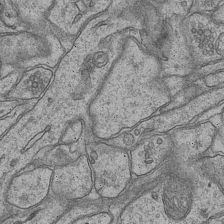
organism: Mouse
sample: CA1 Hippocampus